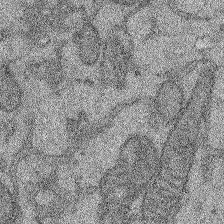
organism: Human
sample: HeLa cells